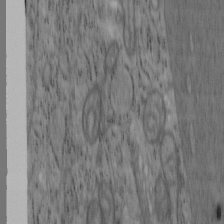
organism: Human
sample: HeLa cells